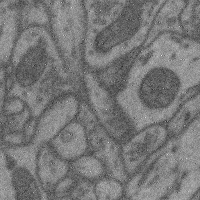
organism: Mouse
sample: Cerebral cortex